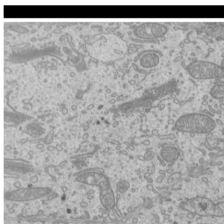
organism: Mouse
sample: Cilia; mouse epididymis